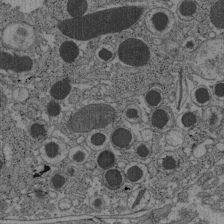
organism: C57BL Mouse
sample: Pancreatic islet